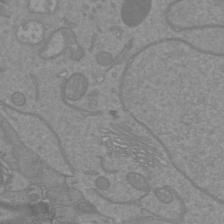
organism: Mouse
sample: Cortical neurons